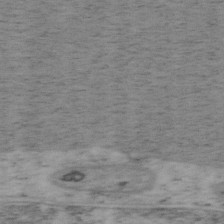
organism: Mouse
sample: OT-I killer T cells with ID8 ovarian cancer cells